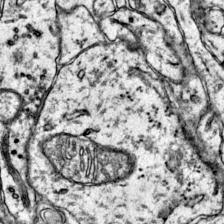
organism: Mouse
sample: Primary visual cortex